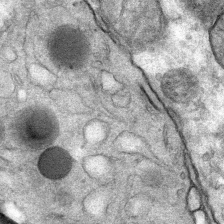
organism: Mouse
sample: Mouse Salivary gland